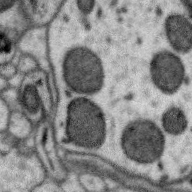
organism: Zebra finch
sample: Brain